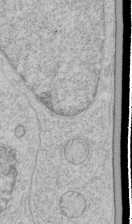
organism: Human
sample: Mitochondria in HCT116 cells